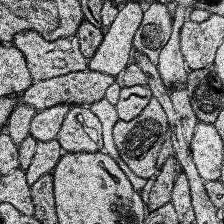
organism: Human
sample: Temporal Lobe